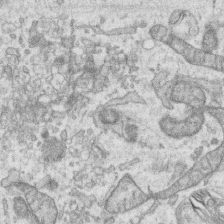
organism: Human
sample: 1205lu cells